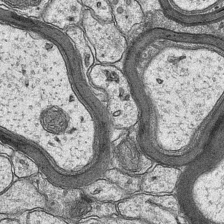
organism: Mouse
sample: CA1 Hippocampus